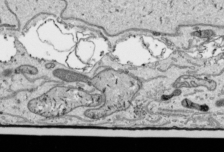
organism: Human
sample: Mitochondria in HCT116 cells